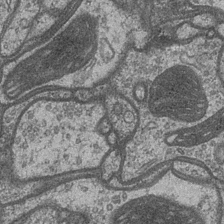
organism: Drosophila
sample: Optic medulla